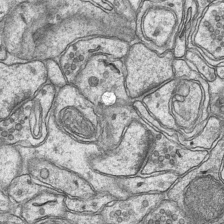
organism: Mouse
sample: CA1 Hippocampus